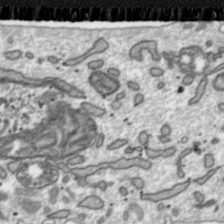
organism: Toxoplasma gondii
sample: Parasites in a vacuole inside a host cell